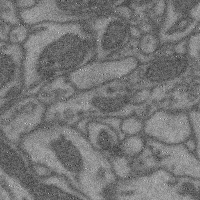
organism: Mouse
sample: Cerebral cortex